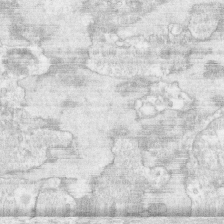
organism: Human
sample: CRL-1474